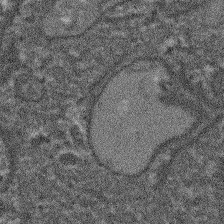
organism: Arabidopsis thaliana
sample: Root tip